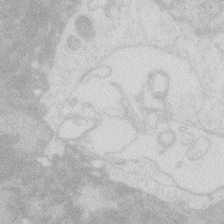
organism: Zebrafish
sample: Macrophage